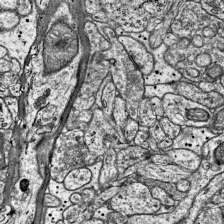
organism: Mouse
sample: Visual Cortex